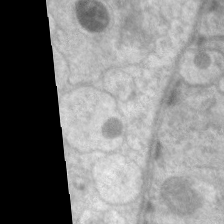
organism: C. elegans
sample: Pharynx